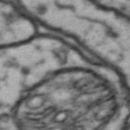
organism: Drosophila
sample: Brain